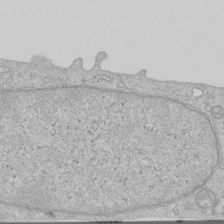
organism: Human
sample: Centriole in RPE cells